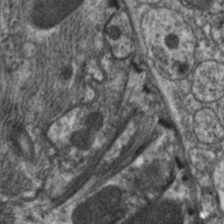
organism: C. elegans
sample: Pharynx